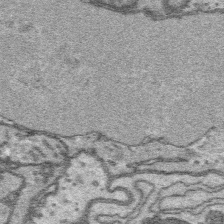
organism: Platynereis dumerilii